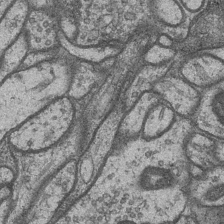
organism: Drosophila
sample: Optic medulla